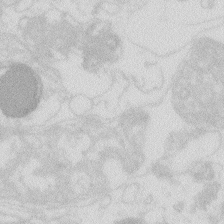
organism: Zebrafish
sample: Macrophage